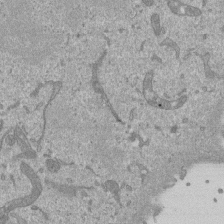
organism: Mouse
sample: ED-1 cell nuclei; centrioles